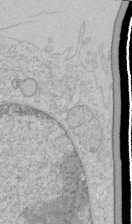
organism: Human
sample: Mitochondria in HCT116 cells